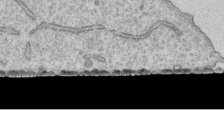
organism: Human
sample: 1205lu cells